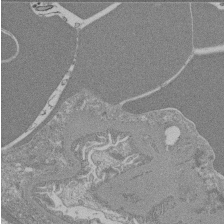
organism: Mouse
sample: Glomerulus